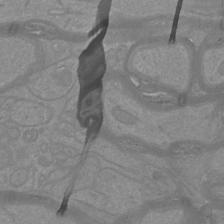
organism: Mouse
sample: Cortical neurons